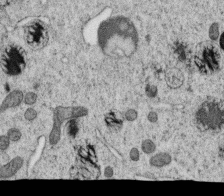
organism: C. elegans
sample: C. elegans oocyte; sperm cells